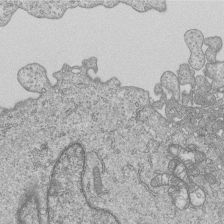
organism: Human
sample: MDA-MB-231 cells